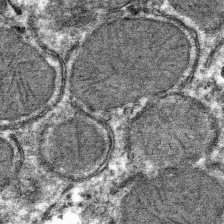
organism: Mouse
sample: Mouse hepatocytes